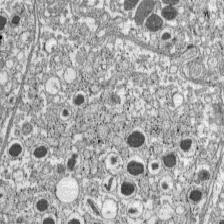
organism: C57BL Mouse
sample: Pancreatic islet